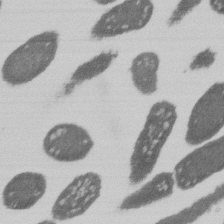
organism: E. coli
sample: Bacterial nucleoid